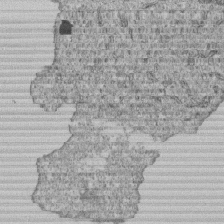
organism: Human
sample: MDA-MB-231 cells